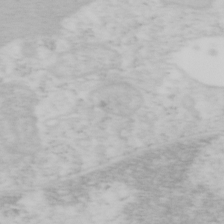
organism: Mouse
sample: OT-I killer T cells with ID8 ovarian cancer cells